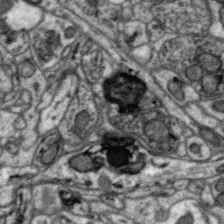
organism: Zebra finch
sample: Brain